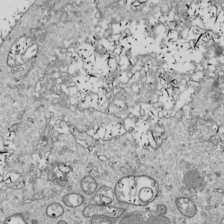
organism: Drosophila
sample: Cell division; meiosis; drosophila spermatocytes